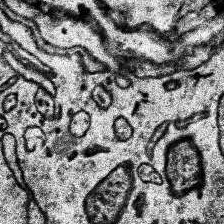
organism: Human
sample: Temporal Lobe